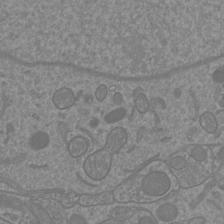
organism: Mouse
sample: Cortical neurons